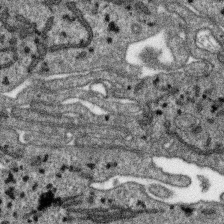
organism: Human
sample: Lung epithelial cells infected with SARS-CoV-2